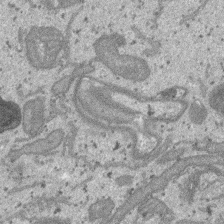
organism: Human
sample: Lung epithelial cells infected with SARS-CoV-2